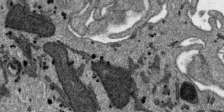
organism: Human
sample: Lung epithelial cells, uninfected (mock) control